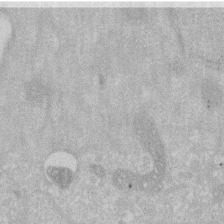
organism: Human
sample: HIV infected U937 cells